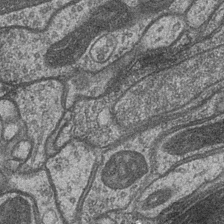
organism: Drosophila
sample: Optic medulla